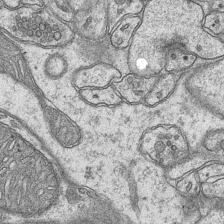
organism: Mouse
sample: CA1 Hippocampus